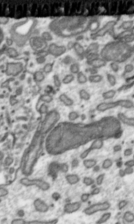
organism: Toxoplasma gondii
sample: Parasites in a vacuole inside a host cell